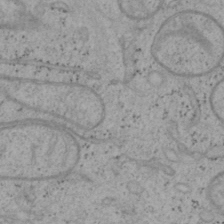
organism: Human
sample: HeLa cells